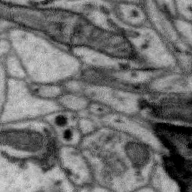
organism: Zebra finch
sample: Brain